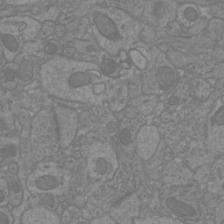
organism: Mouse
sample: Cortical neurons